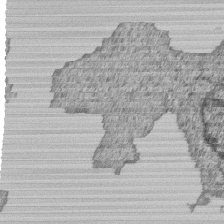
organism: Human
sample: MDA-MB-231 cells